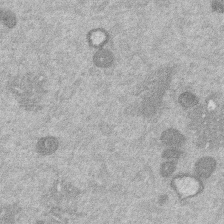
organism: Mouse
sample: Dividing mouse embryo 1 cell stage